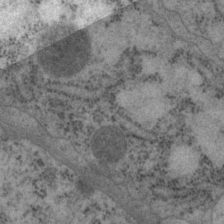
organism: P. pacificus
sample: Pharynx